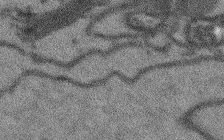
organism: Arabidopsis thaliana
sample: Root tip